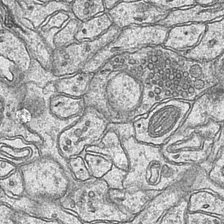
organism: Mouse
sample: CA1 Hippocampus